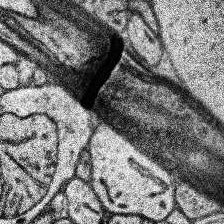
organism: Human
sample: Temporal Lobe